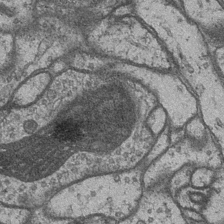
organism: Drosophila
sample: Optic medulla